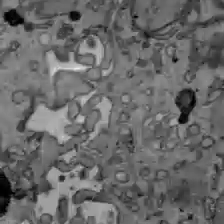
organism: C57BL Mouse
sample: Liver